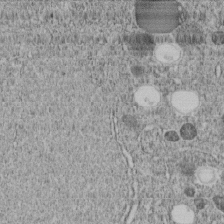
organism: C. elegans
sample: C. elegans embryo early stage